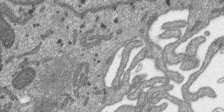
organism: Human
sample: Lung epithelial cells infected with SARS-CoV-2